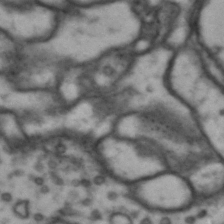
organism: Drosophila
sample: Brain